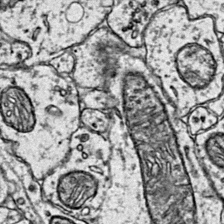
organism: Mouse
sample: Primary visual cortex